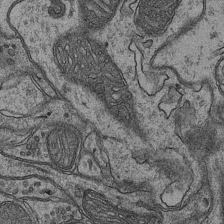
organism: Mouse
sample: CA1 Hippocampus